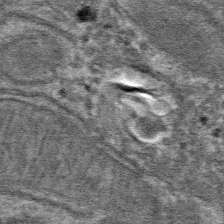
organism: Mouse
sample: Mouse hepatocytes